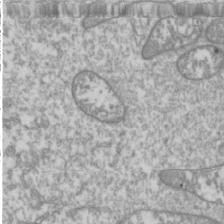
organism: Drosophila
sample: Cell division; meiosis; drosophila spermatocytes